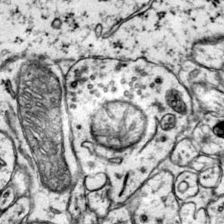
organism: Mouse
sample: Primary visual cortex